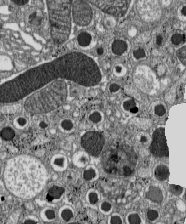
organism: C57BL Mouse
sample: Pancreatic islet